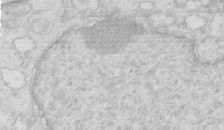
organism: Mouse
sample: Multiciliated cells